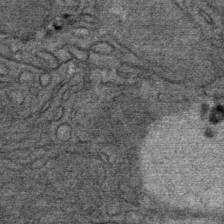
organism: Mouse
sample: Mouse Salivary gland